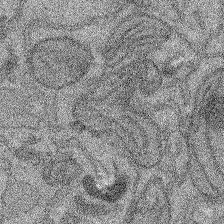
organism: Human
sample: HeLa cells